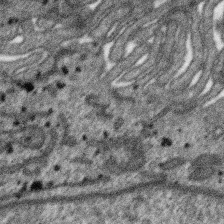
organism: Human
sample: Lung epithelial cells infected with SARS-CoV-2